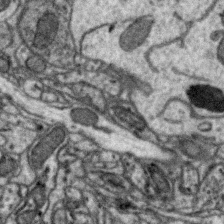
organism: Zebra finch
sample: Brain